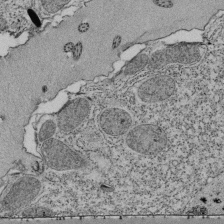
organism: Tetrahymena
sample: Cilia in tetrahymena